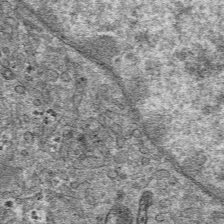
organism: Mouse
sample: Mouse hepatocytes